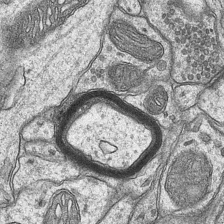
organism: Mouse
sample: CA1 Hippocampus